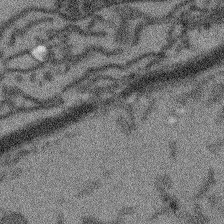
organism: Arabidopsis thaliana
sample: Root tip